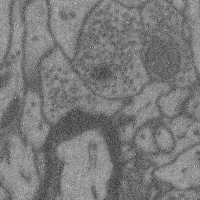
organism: Mouse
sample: Cerebral cortex